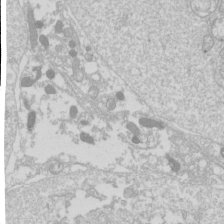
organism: Drosophila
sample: Cell division; meiosis; drosophila spermatocytes